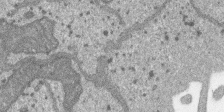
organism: Human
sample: Lung epithelial cells infected with SARS-CoV-2